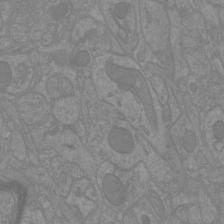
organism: Mouse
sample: Cortical neurons